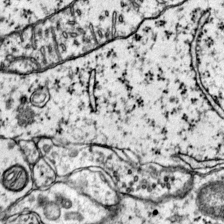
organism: Mouse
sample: Primary visual cortex